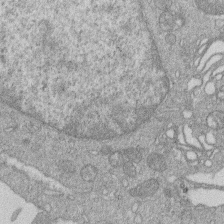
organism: Human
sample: Macrophage cells